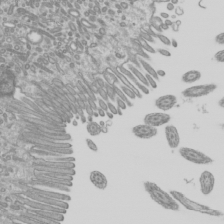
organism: Mouse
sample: Cilia; mouse epididymis